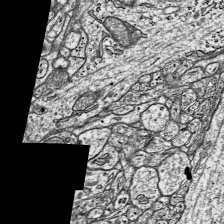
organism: Mouse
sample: Visual Cortex